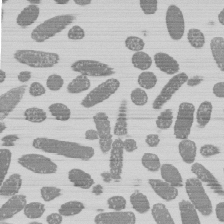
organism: E. coli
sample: Bacterial nucleoid